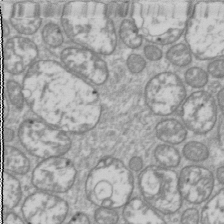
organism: Drosophila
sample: Cell division; meiosis; drosophila spermatocytes